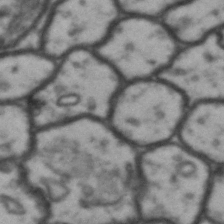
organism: Drosophila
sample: Brain